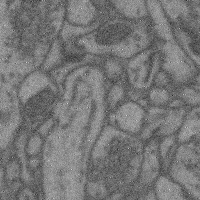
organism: Mouse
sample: Cerebral cortex